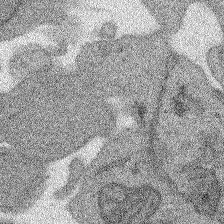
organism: Human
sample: HeLa cells